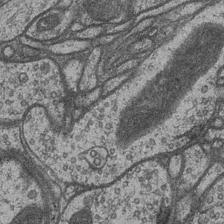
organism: Drosophila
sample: Optic medulla